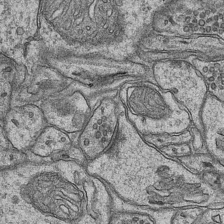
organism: Mouse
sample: CA1 Hippocampus